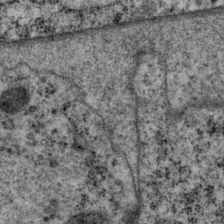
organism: P. pacificus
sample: Pharynx